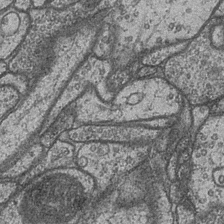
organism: Drosophila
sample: Optic medulla